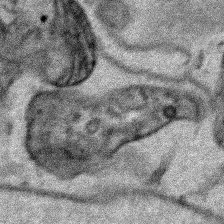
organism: Human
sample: Mitochondria in HCT116 cells